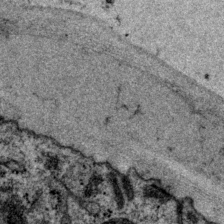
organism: P. pacificus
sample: Pharynx